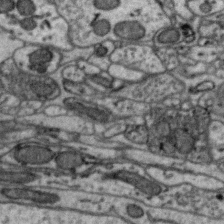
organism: Zebra finch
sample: Brain